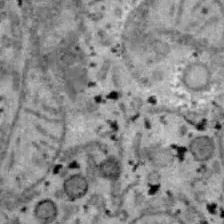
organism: Mouse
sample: Liver from an obese (ob/ob) mouse